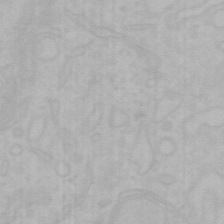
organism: Mouse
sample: Choroid plexus